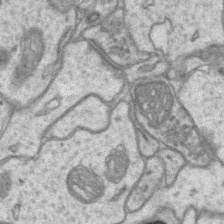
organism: Mouse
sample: CA1 Hippocampus